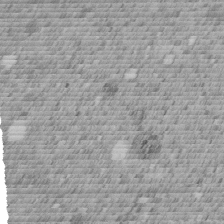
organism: C. elegans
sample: C. elegans embryo early stage